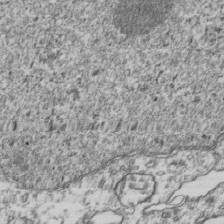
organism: Human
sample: Activated Jurkat CD4+ T cells